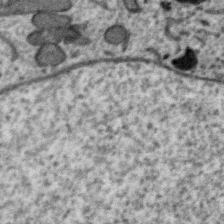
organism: Zebra finch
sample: Brain